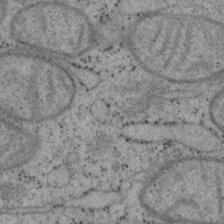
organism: Human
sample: HeLa cells